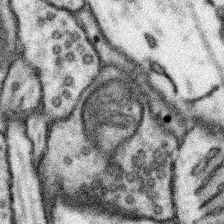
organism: Mouse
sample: Somatosensory cortex neuropil